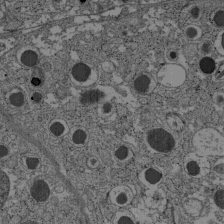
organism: C57BL Mouse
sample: Pancreatic islet